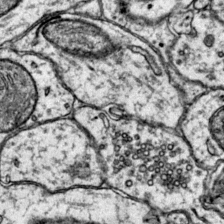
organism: Mouse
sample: Primary visual cortex